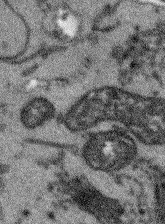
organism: Arabidopsis thaliana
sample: Root tip